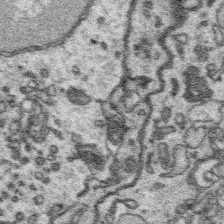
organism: Platynereis dumerilii